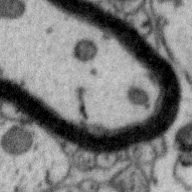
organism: Zebra finch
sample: Brain